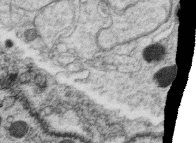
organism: C. elegans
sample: C. elegans oocyte; sperm cells